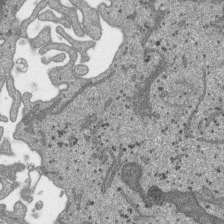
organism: Human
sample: Lung epithelial cells infected with SARS-CoV-2